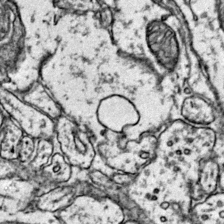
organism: Mouse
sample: Primary visual cortex